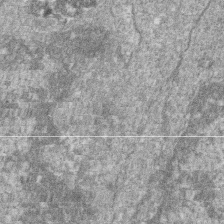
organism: Zebrafish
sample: Cilia; retinal pigment epithelium